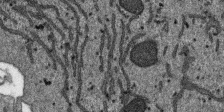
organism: Human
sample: Lung epithelial cells infected with SARS-CoV-2